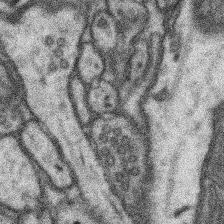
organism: Mouse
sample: Somatosensory cortex neuropil